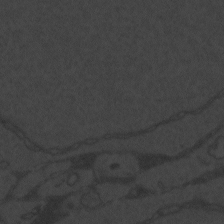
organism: Zebrafish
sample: Macrophage infected with Toxoplasma gondii